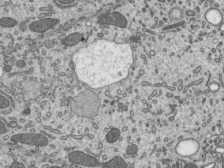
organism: Mouse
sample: Mouse epididymis efferent ductule cilia